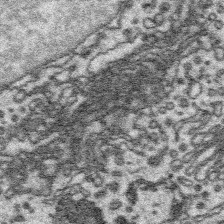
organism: Platynereis dumerilii